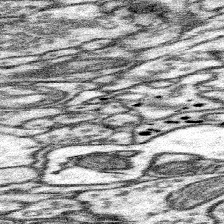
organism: Mouse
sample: Somatosensory cortex neuropil